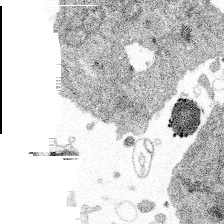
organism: Spongilla lacustris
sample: Multiple